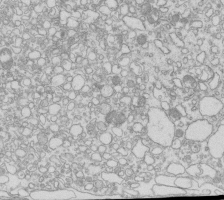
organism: Mouse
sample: Macrophages